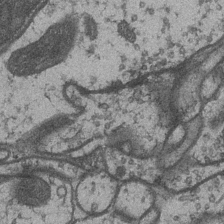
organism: Drosophila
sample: Optic medulla